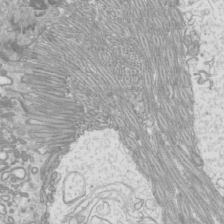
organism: Mouse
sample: Cilia; mouse epididymis